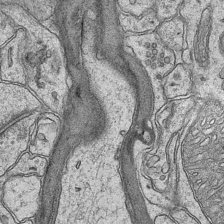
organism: Mouse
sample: CA1 Hippocampus